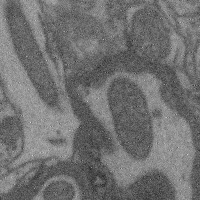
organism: Mouse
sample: Cerebral cortex